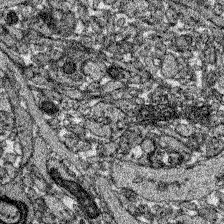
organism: Zebrafish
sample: Larval olfactory bulb